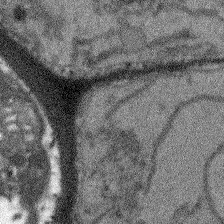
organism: Arabidopsis thaliana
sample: Root tip